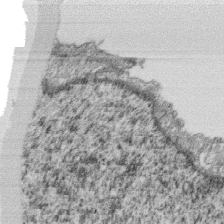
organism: African green monkey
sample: Vero E6 cells infected with SARS-CoV-2